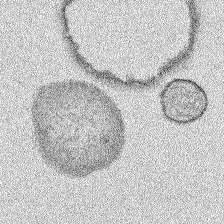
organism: Human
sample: HeLa cells